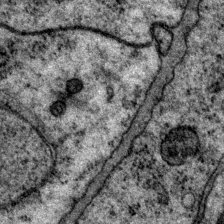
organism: P. pacificus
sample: Pharynx